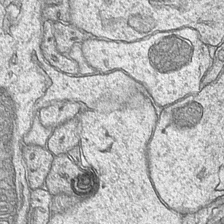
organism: Mouse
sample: CA1 Hippocampus